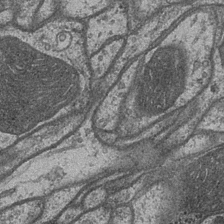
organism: Drosophila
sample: Optic medulla